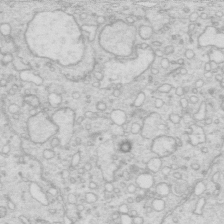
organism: Mouse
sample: Multiciliated cells